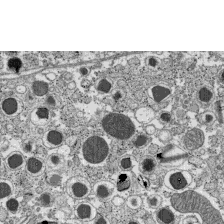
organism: C57BL Mouse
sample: Pancreatic islet